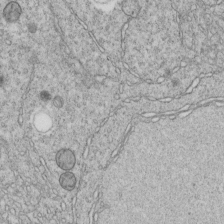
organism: C. elegans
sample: C. elegans embryo early stage